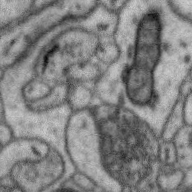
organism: Zebra finch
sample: Brain